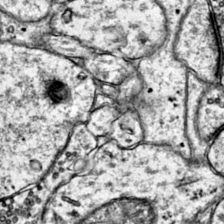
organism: Mouse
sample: Primary visual cortex